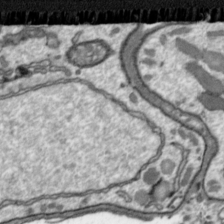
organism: Toxoplasma gondii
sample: Parasites in a vacuole inside a host cell